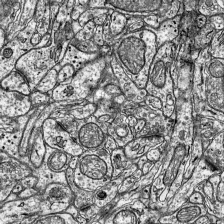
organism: Mouse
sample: Visual Cortex